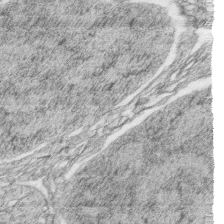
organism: Zebrafish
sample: synaptic ribbons in rod cells and cone cells